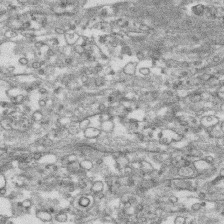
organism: Human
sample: CRL-1474